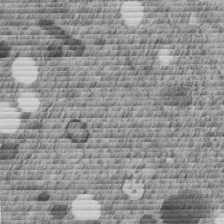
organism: C. elegans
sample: C. elegans embryo early stage